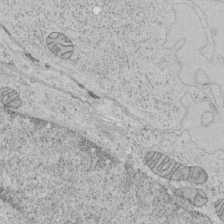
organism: Human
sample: Mitochondria in HCT116 cells